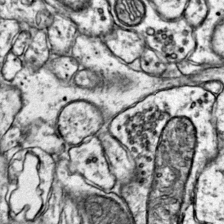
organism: Mouse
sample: Primary visual cortex